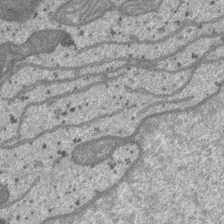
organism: Human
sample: Lung epithelial cells infected with SARS-CoV-2